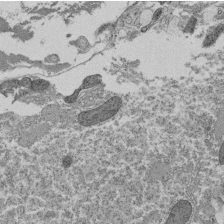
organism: Tetrahymena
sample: Cilia in tetrahymena